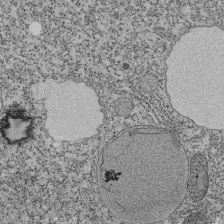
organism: Tetrahymena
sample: Cilia in tetrahymena